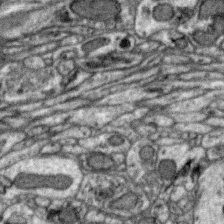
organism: Zebra finch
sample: Brain